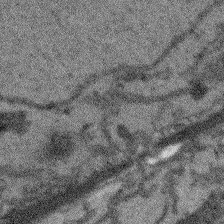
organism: Arabidopsis thaliana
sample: Root tip